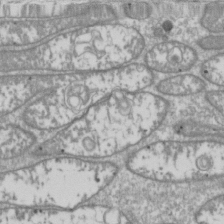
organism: Drosophila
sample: Cell division; meiosis; drosophila spermatocytes